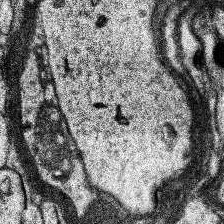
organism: Human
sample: Temporal Lobe